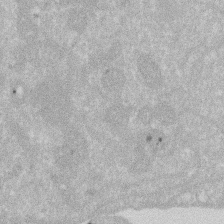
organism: Human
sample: HIV infected U937 cells